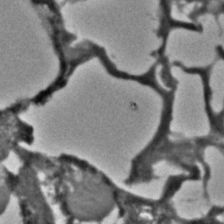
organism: C. elegans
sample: C. elegans embryo